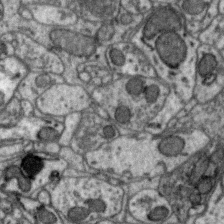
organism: Zebra finch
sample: Brain